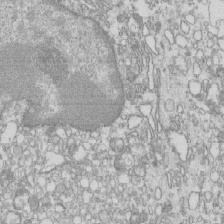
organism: Mouse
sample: Macrophages